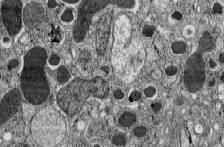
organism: C57BL Mouse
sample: Pancreatic islet